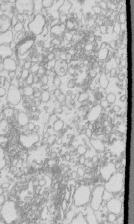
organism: Mouse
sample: Macrophages